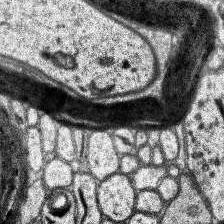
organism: Human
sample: Temporal Lobe